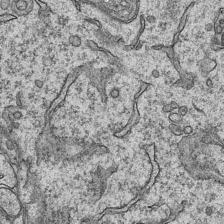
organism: Mouse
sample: CA1 Hippocampus